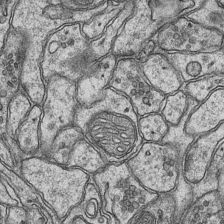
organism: Mouse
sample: CA1 Hippocampus